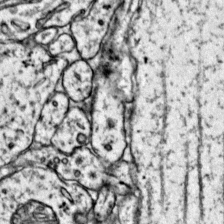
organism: Mouse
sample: Primary visual cortex